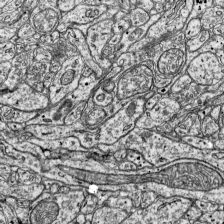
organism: Mouse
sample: Visual Cortex